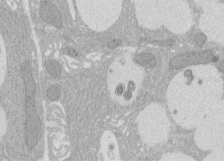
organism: Rat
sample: Salivary granule